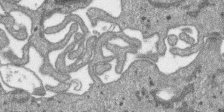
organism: Human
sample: Lung epithelial cells infected with SARS-CoV-2